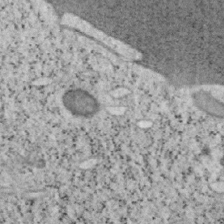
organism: Mouse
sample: OT-I killer T cells with ID8 ovarian cancer cells